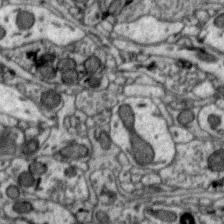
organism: Zebra finch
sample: Brain